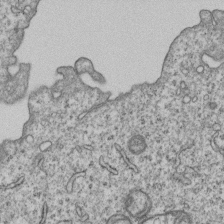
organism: Human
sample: MDA-MB-231 cells